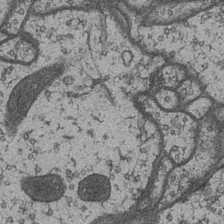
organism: Drosophila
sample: Optic medulla